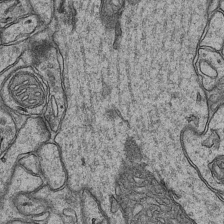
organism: Mouse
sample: CA1 Hippocampus